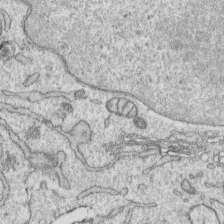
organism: Human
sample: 1205lu cells